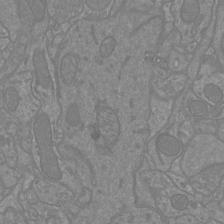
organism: Mouse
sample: Cortical neurons